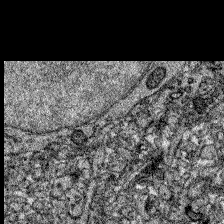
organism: Zebrafish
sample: Larval olfactory bulb